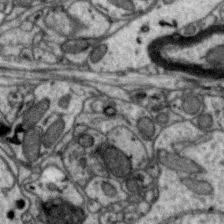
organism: Zebra finch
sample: Brain